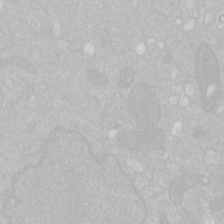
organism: Human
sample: HIV infected U937 cells